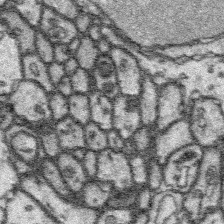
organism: Platynereis dumerilii